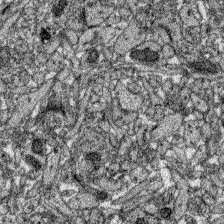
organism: Zebrafish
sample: Larval olfactory bulb